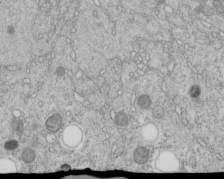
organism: C. elegans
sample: C. elegans embryo early stage